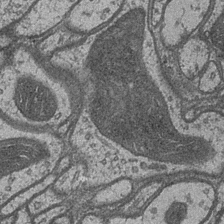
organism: Drosophila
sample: Optic medulla